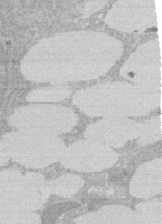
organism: Rat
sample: Salivary granule